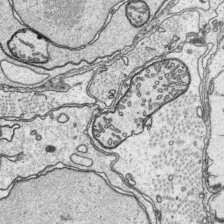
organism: Platynereis dumerilii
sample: Parapodia